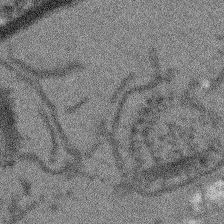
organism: Arabidopsis thaliana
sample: Root tip